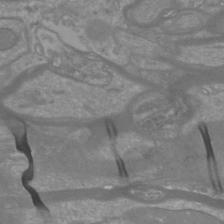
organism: Mouse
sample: Cortical neurons